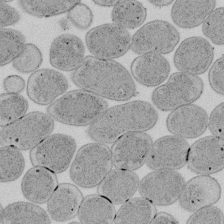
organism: E. coli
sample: Bacterial nucleoid